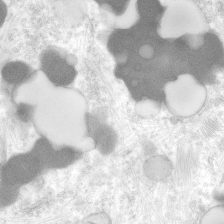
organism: Human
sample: Neocortex